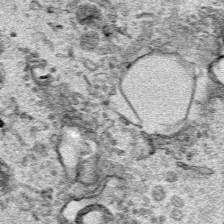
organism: Human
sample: Mitochondria in HCT116 cells